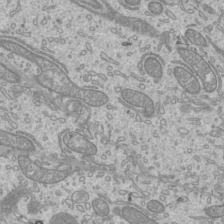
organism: Mouse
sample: Cilia; mouse epididymis